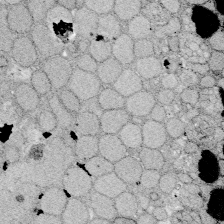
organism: Zebrafish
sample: Whole-Brain